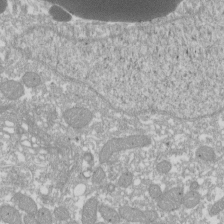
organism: Xenopus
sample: Cilia; centrioles in frog embryo cells